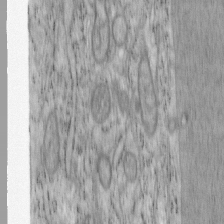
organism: Human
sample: HeLa cells